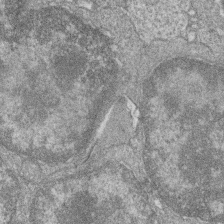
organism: Zebrafish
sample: Cilia; retinal pigment epithelium